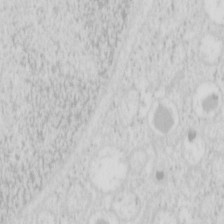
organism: Mouse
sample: Pancreas